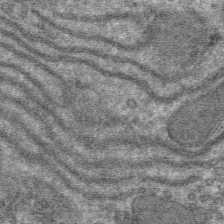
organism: Mouse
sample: Mouse hepatocytes